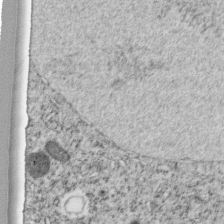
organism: C. elegans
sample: C. elegans embryo early stage